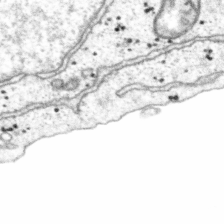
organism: Human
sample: HeLa cells